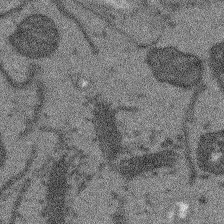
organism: Arabidopsis thaliana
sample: Root tip